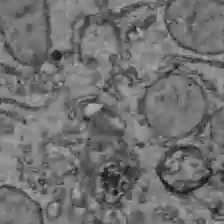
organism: C57BL Mouse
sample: Liver